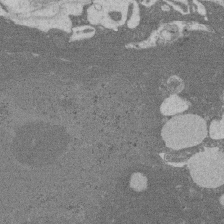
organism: Rat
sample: Salivary granule